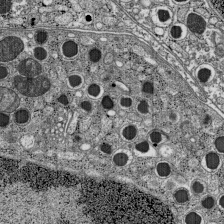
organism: C57BL Mouse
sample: Pancreatic islet